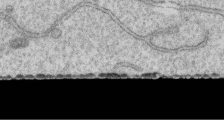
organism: Human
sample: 1205lu cells